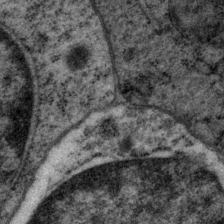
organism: P. pacificus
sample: Pharynx